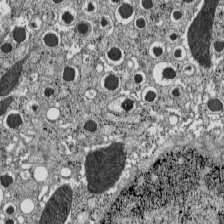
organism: C57BL Mouse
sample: Pancreatic islet